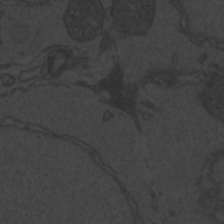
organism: Zebrafish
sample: Macrophage infected with Toxoplasma gondii